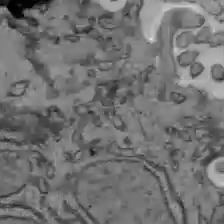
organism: C57BL Mouse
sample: Liver